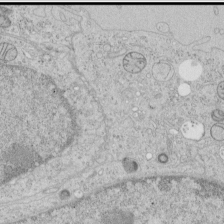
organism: Human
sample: Mitochondria in HCT116 cells